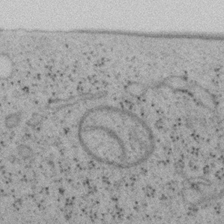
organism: Human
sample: HeLa cells